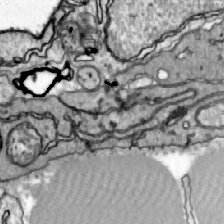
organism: Zebrafish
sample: Actinotrichia fibers